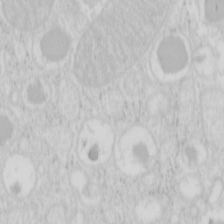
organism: Mouse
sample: Pancreas